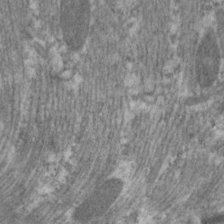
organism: C. elegans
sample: Pharynx